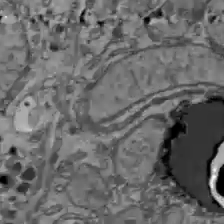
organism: C57BL Mouse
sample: Liver